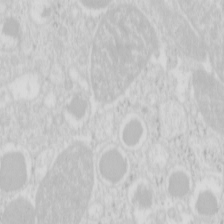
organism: Mouse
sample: Pancreas